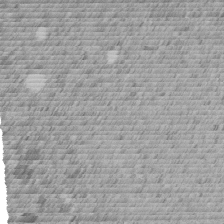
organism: C. elegans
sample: C. elegans embryo early stage